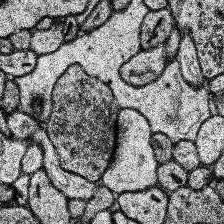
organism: Human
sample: Temporal Lobe